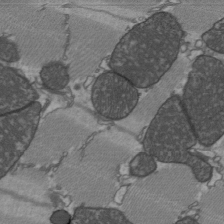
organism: C57BL Mouse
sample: Heart